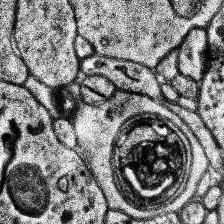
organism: Human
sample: Temporal Lobe